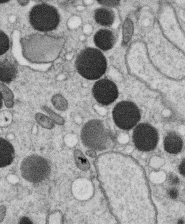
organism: C. elegans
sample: C. elegans oocyte; sperm cells